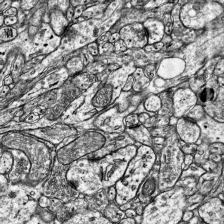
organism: Mouse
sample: Visual Cortex